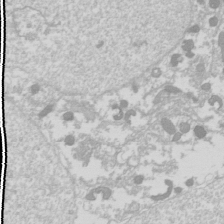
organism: Drosophila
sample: Cell division; meiosis; drosophila spermatocytes